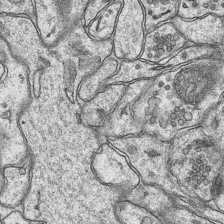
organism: Mouse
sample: CA1 Hippocampus